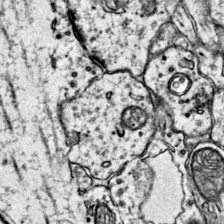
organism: Mouse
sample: Primary visual cortex